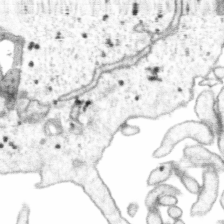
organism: Human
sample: HeLa cells